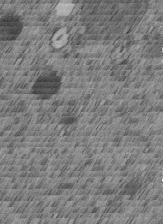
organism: C. elegans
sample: C. elegans embryo early stage